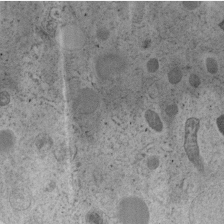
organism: C. elegans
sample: C. elegans embryo early stage